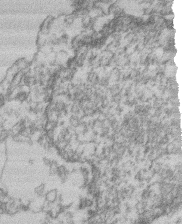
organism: Mouse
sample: T cell stromal cell synapse